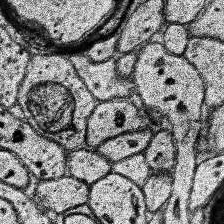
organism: Human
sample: Temporal Lobe